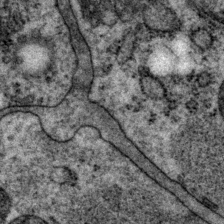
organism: P. pacificus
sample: Pharynx